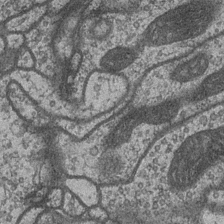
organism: Drosophila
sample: Optic medulla